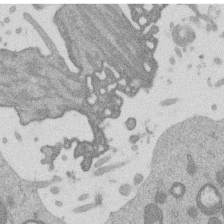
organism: Mouse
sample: Dividing mouse embryo 1 cell stage